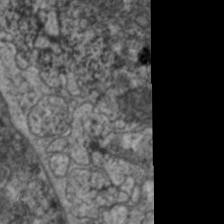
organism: C. elegans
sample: Pharynx